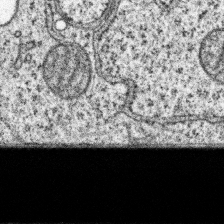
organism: Human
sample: HeLa cells